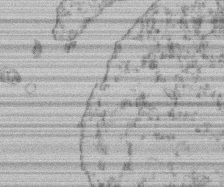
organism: Mouse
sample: T cell stromal cell synapse